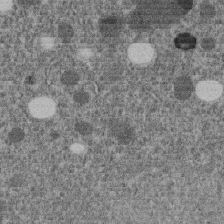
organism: C. elegans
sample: C. elegans embryo early stage